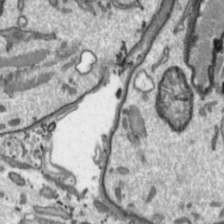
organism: Toxoplasma gondii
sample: Parasites in a vacuole inside a host cell